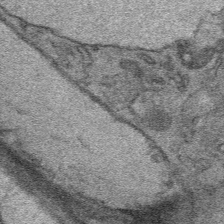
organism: Mouse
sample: Mouse Salivary gland